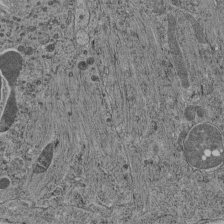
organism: C. elegans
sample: C. elegans pharynx